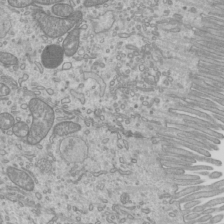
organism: Mouse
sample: Cilia; mouse epididymis